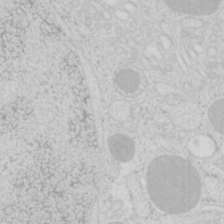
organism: Mouse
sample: Pancreas